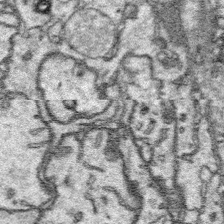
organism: Platynereis dumerilii